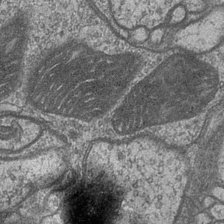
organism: Drosophila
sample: Optic medulla